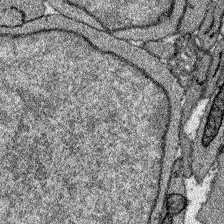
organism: Zebrafish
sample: Larval olfactory bulb